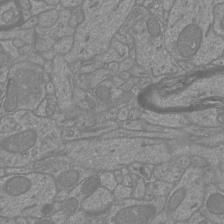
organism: Mouse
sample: Cortical neurons